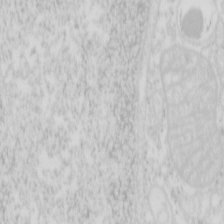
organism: Mouse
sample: Pancreas